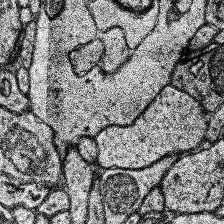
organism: Human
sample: Temporal Lobe